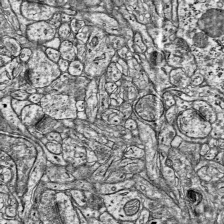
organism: Mouse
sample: Visual Cortex